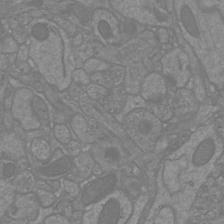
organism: Mouse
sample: Cortical neurons